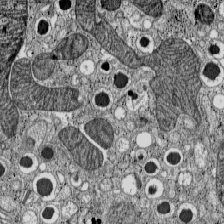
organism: C57BL Mouse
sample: Pancreatic islet